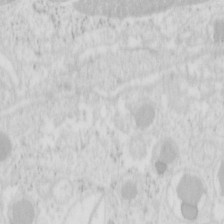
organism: Mouse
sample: Pancreas